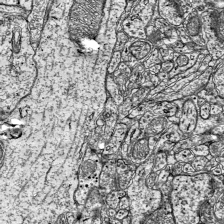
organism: Mouse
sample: Visual Cortex